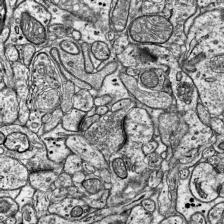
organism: Mouse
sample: Visual Cortex